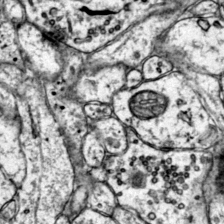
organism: Mouse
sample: Primary visual cortex